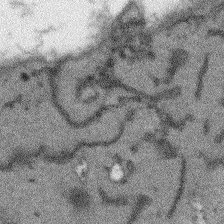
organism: Arabidopsis thaliana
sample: Root tip